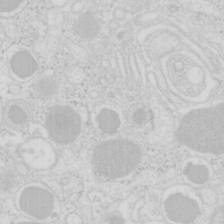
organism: Mouse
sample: Pancreas